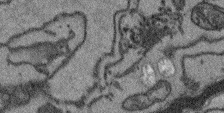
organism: Arabidopsis thaliana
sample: Root tip